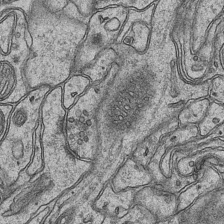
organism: Mouse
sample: CA1 Hippocampus